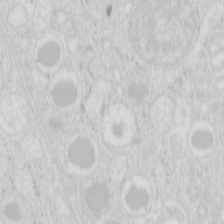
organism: Mouse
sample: Pancreas